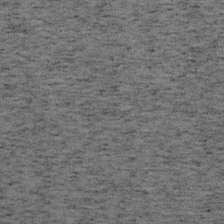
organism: Mouse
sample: OT-I killer T cells with ID8 ovarian cancer cells